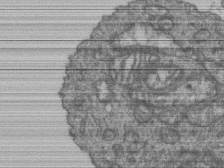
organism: Human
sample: Retinal organoid Rod and Cone cells